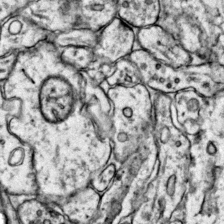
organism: Mouse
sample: Primary visual cortex